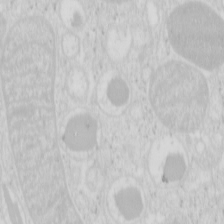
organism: Mouse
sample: Pancreas